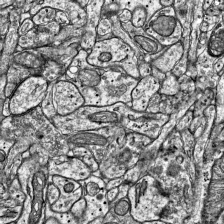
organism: Mouse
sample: Visual Cortex